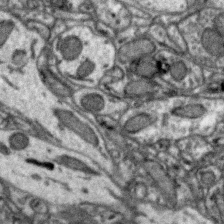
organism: Zebra finch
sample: Brain